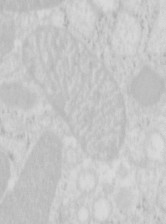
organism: Mouse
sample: Pancreas